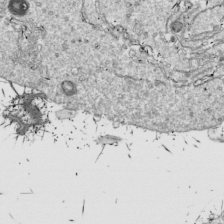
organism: Drosophila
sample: Cell division; meiosis; drosophila spermatocytes